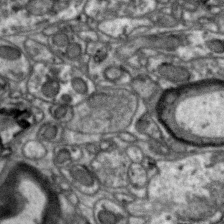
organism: Zebra finch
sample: Brain